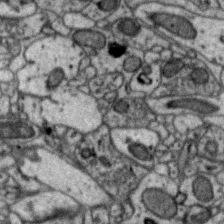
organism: Zebra finch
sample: Brain